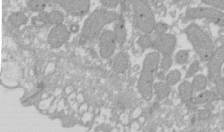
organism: Xenopus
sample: Cilia; centrioles in frog embryo cells